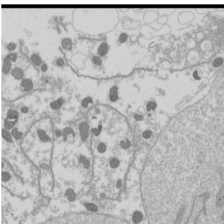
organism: Drosophila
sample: Cell division; meiosis; drosophila spermatocytes